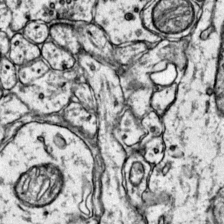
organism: Mouse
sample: Primary visual cortex